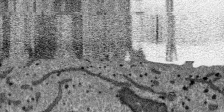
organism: Human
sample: Lung epithelial cells, uninfected (mock) control